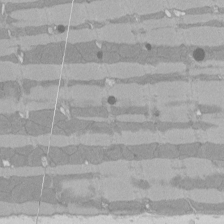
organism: Rat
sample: Left ventricle